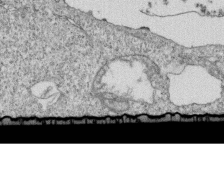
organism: Human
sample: HeLa cell HIV synapse